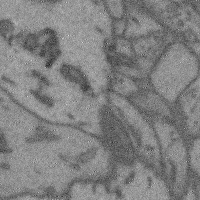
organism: Mouse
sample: Cerebral cortex